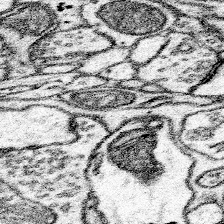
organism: Mouse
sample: Somatosensory cortex neuropil